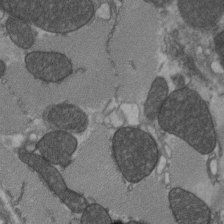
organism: C57BL Mouse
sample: Heart